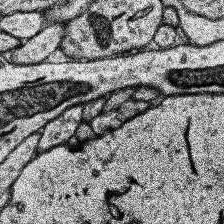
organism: Human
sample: Temporal Lobe